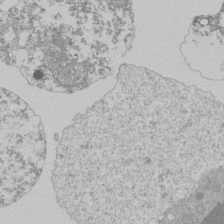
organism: Mouse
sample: Activated Pmel transgenic CD8+ T Cells